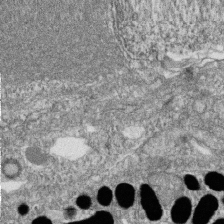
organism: Zebrafish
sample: Cilia; retinal pigment epithelium